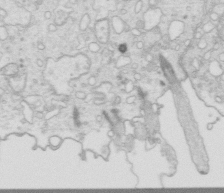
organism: Mouse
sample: Multiciliated cells